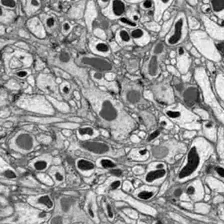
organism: Drosophila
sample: Optic lobe